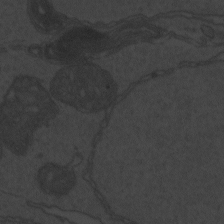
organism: Zebrafish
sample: Macrophage infected with Toxoplasma gondii